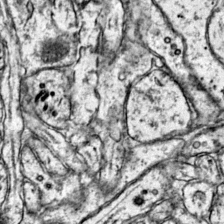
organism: Mouse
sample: Primary visual cortex